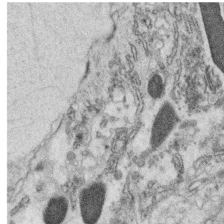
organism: C. elegans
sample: C. elegans oocyte; sperm cells